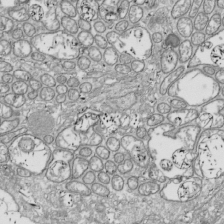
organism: Drosophila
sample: Cell division; meiosis; drosophila spermatocytes